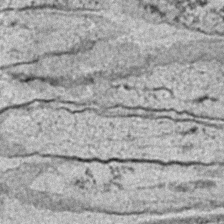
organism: C. elegans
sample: C. elegans embryo